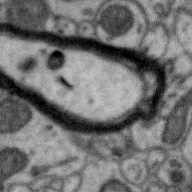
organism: Zebra finch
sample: Brain